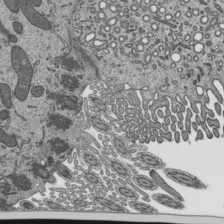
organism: Mouse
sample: Mouse epididymis efferent ductule cilia